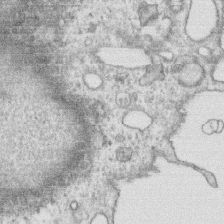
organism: Human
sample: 1205lu cells